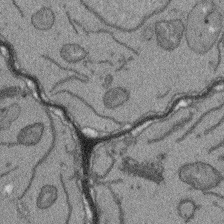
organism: Arabidopsis thaliana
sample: Root tip